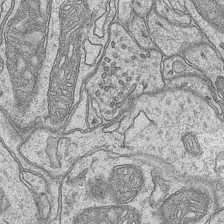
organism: Mouse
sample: CA1 Hippocampus